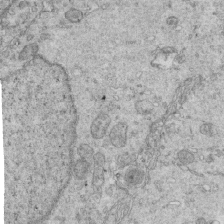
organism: Mouse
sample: Multiciliated cells